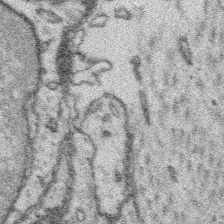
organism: Platynereis dumerilii